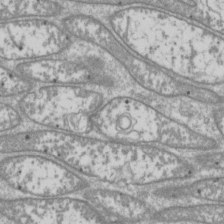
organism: Drosophila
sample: Cell division; meiosis; drosophila spermatocytes